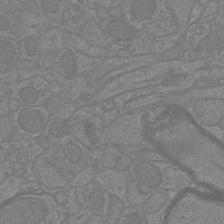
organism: Mouse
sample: Cortical neurons